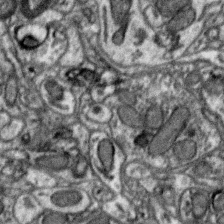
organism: Zebra finch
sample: Brain